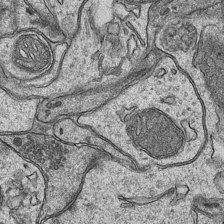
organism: Mouse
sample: CA1 Hippocampus